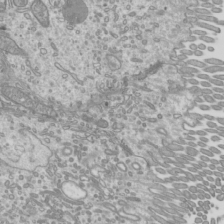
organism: Mouse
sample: Cilia; mouse epididymis